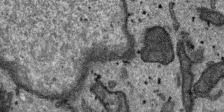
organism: Human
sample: Lung epithelial cells, uninfected (mock) control